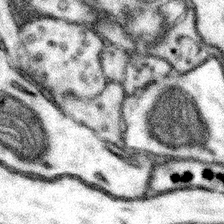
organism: Mouse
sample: Somatosensory cortex neuropil